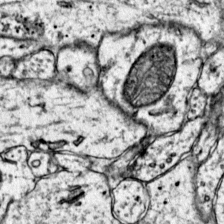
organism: Mouse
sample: Primary visual cortex